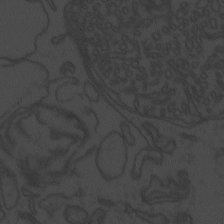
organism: Zebrafish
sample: Macrophage infected with Toxoplasma gondii